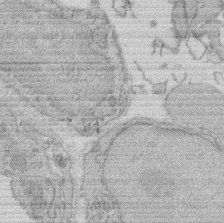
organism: Rat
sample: Salivary granule